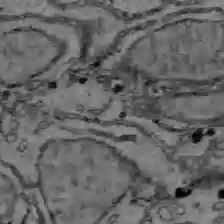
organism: C57BL Mouse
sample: Liver